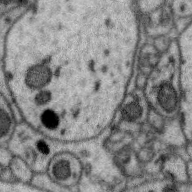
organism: Zebra finch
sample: Brain